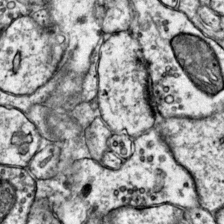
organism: Mouse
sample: Primary visual cortex